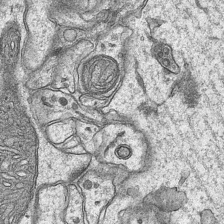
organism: Mouse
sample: CA1 Hippocampus